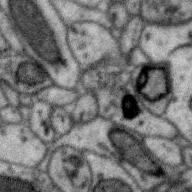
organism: Zebra finch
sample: Brain